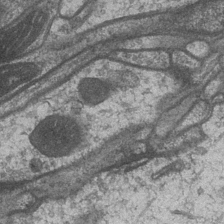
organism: Drosophila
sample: Optic medulla